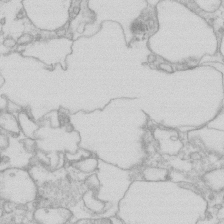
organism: Human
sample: Fibroblast cells